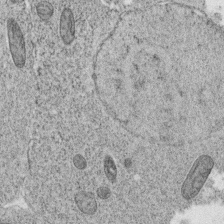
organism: C. elegans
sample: C. elegans oocyte; sperm cells